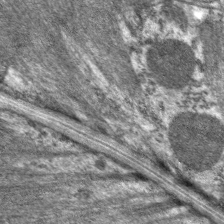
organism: C. elegans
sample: Pharynx